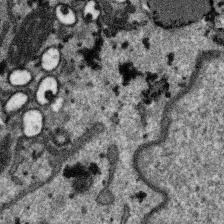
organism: Human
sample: Lung epithelial cells infected with SARS-CoV-2